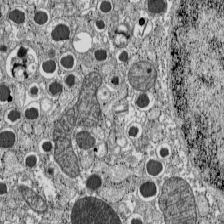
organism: C57BL Mouse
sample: Pancreatic islet